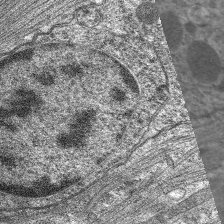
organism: C. elegans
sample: Pharynx